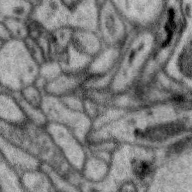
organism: Zebra finch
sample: Brain